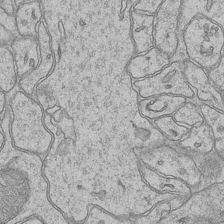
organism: Mouse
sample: CA1 Hippocampus